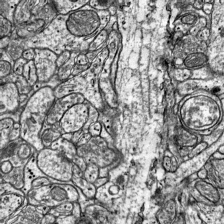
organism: Mouse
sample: Visual Cortex